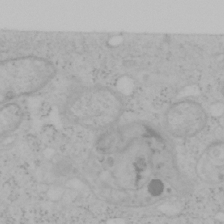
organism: Mouse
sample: OT-I killer T cells with ID8 ovarian cancer cells